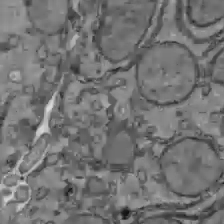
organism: C57BL Mouse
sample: Liver